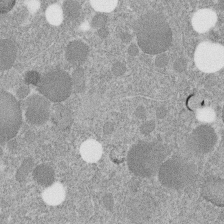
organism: C. elegans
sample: C. elegans embryo early stage